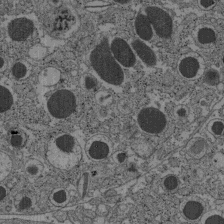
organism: C57BL Mouse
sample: Pancreatic islet